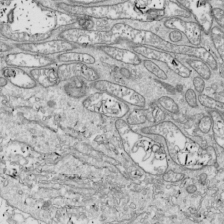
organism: Drosophila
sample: Cell division; meiosis; drosophila spermatocytes